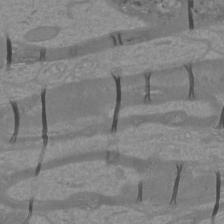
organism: Mouse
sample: Cortical neurons